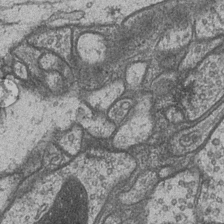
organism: Drosophila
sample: Optic medulla